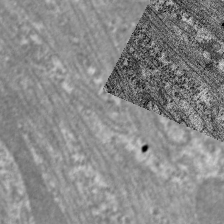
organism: C. elegans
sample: Pharynx